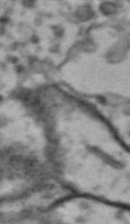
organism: Drosophila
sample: Brain